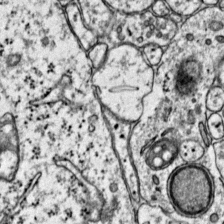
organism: Mouse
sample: Primary visual cortex